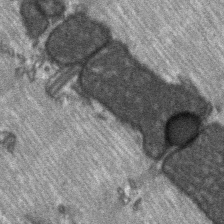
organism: C57BL Mouse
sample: Soleus